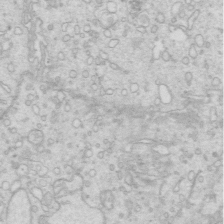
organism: Mouse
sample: Multiciliated cells